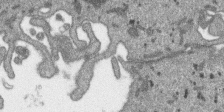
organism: Human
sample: Lung epithelial cells infected with SARS-CoV-2